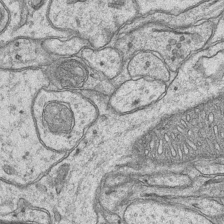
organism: Mouse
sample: CA1 Hippocampus